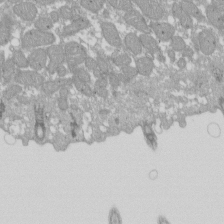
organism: Xenopus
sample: Cilia; centrioles in frog embryo cells